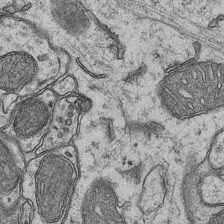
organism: Mouse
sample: CA1 Hippocampus